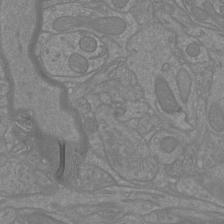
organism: Mouse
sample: Cortical neurons